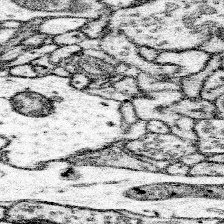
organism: Mouse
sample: Somatosensory cortex neuropil